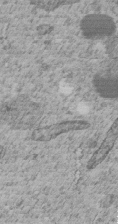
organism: C. elegans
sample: C. elegans embryo early stage